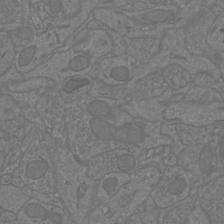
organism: Mouse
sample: Cortical neurons